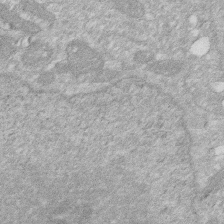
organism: Human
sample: HIV infected U937 cells